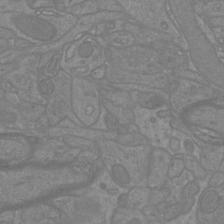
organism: Mouse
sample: Cortical neurons